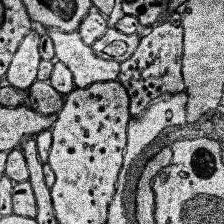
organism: Human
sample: Temporal Lobe